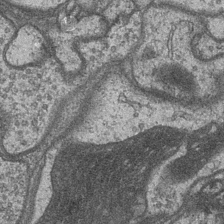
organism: Drosophila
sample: Optic medulla